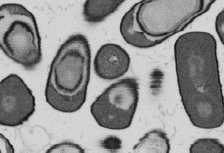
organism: B. subtilis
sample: Bacterial spore